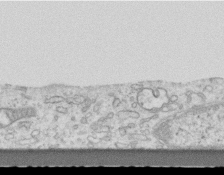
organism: Mouse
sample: Centriole in ependymal cells